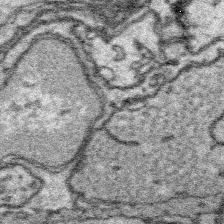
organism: Platynereis dumerilii